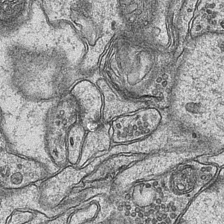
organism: Mouse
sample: CA1 Hippocampus